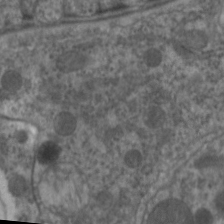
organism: C. elegans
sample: Pharynx